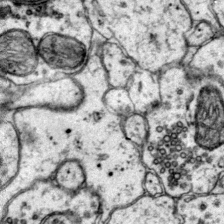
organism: Mouse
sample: Primary visual cortex